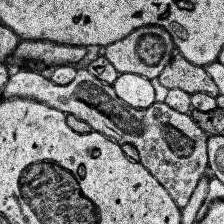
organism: Human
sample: Temporal Lobe